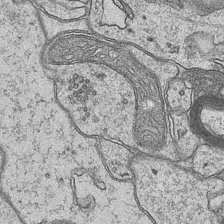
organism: Mouse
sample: CA1 Hippocampus